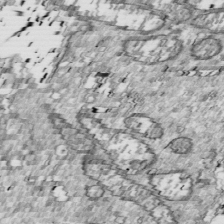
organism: Drosophila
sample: Cell division; meiosis; drosophila spermatocytes